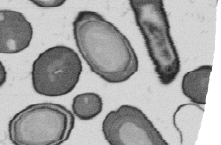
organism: B. subtilis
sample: Bacterial spore